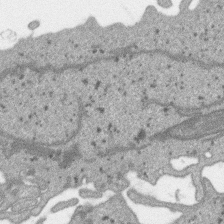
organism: Human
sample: Lung epithelial cells infected with SARS-CoV-2